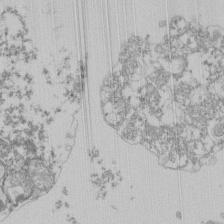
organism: Mouse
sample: Activated Pmel transgenic CD8+ T Cells